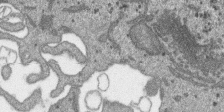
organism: Human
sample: Lung epithelial cells infected with SARS-CoV-2